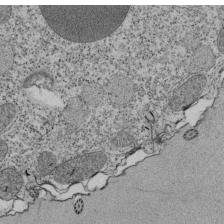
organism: Tetrahymena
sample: Cilia in tetrahymena